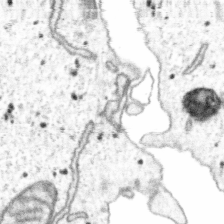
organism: Human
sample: HeLa cells